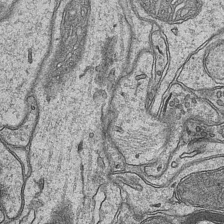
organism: Mouse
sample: CA1 Hippocampus